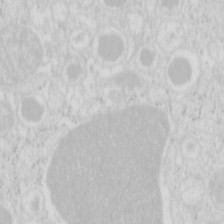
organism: Mouse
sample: Pancreas